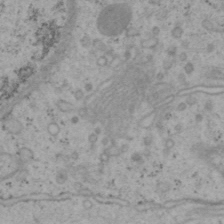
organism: Human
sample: HeLa cells